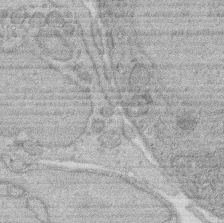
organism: Rat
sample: Salivary granule